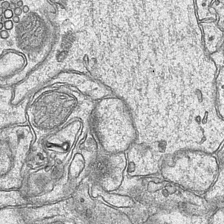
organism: Mouse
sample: CA1 Hippocampus